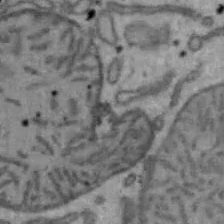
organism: Mouse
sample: Liver